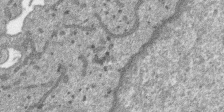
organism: Human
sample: Lung epithelial cells infected with SARS-CoV-2